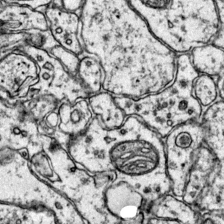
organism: Mouse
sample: Primary visual cortex